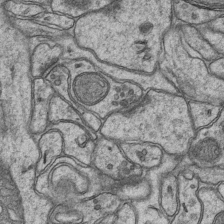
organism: Mouse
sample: CA1 Hippocampus